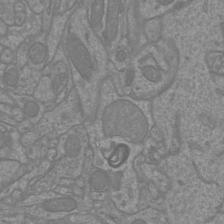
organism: Mouse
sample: Cortical neurons